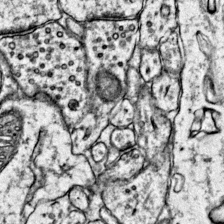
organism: Mouse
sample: Primary visual cortex